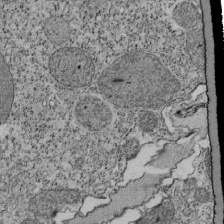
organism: Tetrahymena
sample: Cilia in tetrahymena